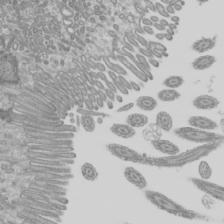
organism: Mouse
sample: Cilia; mouse epididymis